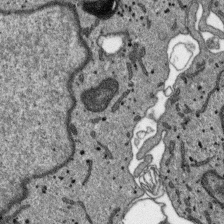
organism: Human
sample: Lung epithelial cells, uninfected (mock) control